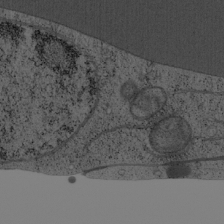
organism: African green monkey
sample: COS-7 cells